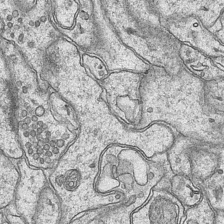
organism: Mouse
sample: CA1 Hippocampus